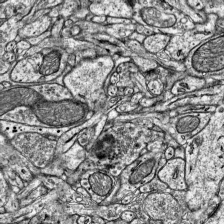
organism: Mouse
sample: Visual Cortex